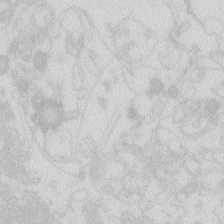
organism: Zebrafish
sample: Macrophage